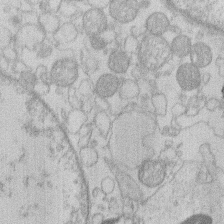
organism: Human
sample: Macrophage cells